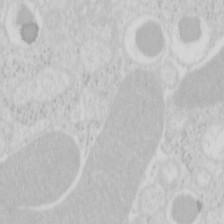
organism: Mouse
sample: Pancreas